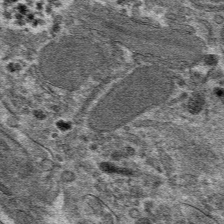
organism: Mouse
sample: Mouse hepatocytes